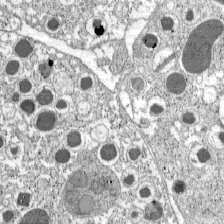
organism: C57BL Mouse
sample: Pancreatic islet